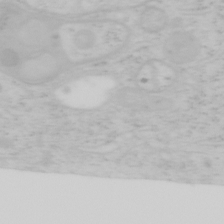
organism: Mouse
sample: OT-I killer T cells with ID8 ovarian cancer cells